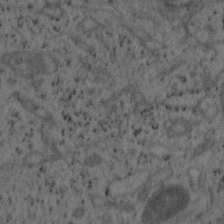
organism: Human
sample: HeLa cells